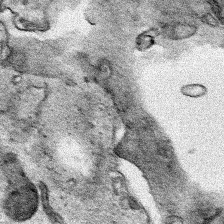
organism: Human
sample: Mitochondria in HCT116 cells